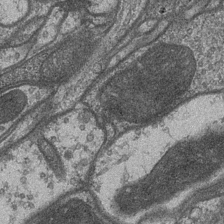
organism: Drosophila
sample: Optic medulla